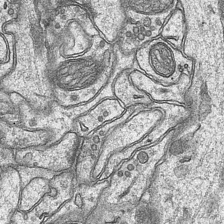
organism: Mouse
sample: CA1 Hippocampus